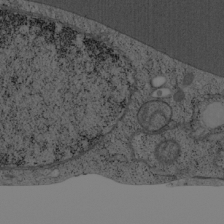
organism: African green monkey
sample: COS-7 cells